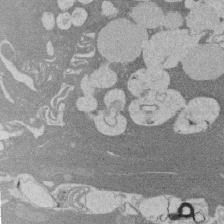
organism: Rat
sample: Salivary granule